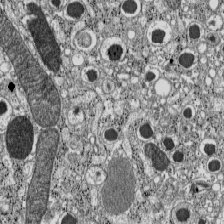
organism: C57BL Mouse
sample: Pancreatic islet